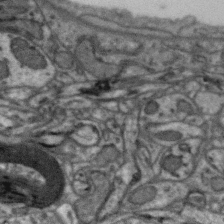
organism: Zebra finch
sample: Brain